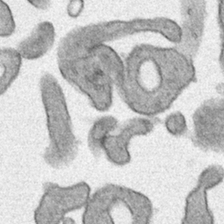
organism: Human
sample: Mitochondria in HCT116 cells